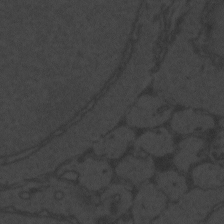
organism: Zebrafish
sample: Macrophage infected with Toxoplasma gondii